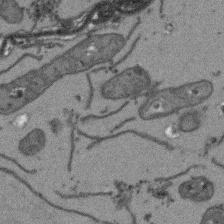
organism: Arabidopsis thaliana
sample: Root tip